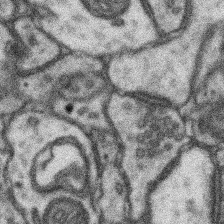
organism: Mouse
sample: Somatosensory cortex neuropil